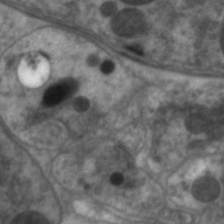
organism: C. elegans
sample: Pharynx